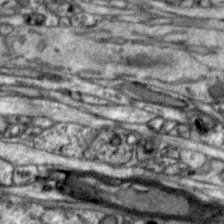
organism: Zebra finch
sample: Brain